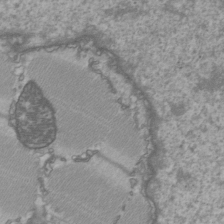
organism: C57BL Mouse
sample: Heart